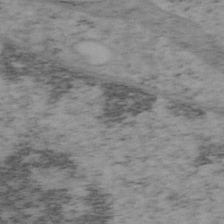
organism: Mouse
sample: OT-I killer T cells with ID8 ovarian cancer cells